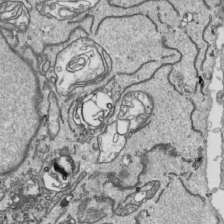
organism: Human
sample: Mitochondria in HCT116 cells